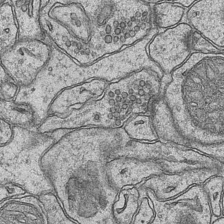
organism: Mouse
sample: CA1 Hippocampus